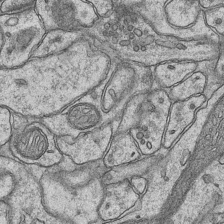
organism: Mouse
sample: CA1 Hippocampus